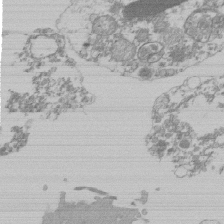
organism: Mouse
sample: Activated Pmel transgenic CD8+ T Cells